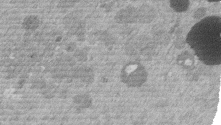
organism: Mouse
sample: Dividing mouse embryo 1 cell stage